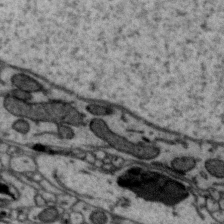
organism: Zebra finch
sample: Brain